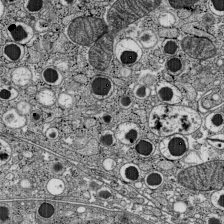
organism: C57BL Mouse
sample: Pancreatic islet